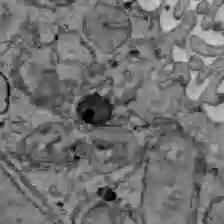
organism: C57BL Mouse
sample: Liver